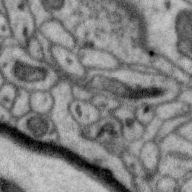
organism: Zebra finch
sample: Brain